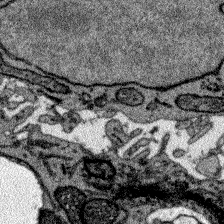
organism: Zebrafish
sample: Larval olfactory bulb